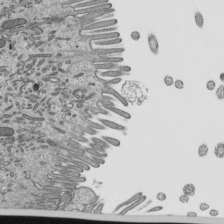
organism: Mouse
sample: Mouse epididymis efferent ductule cilia